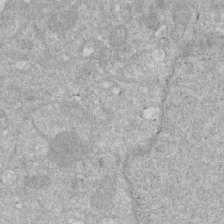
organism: Human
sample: HIV infected U937 cells